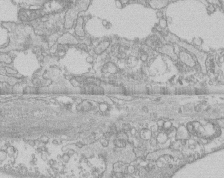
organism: Human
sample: CRL-1474